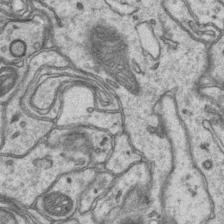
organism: Mouse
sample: CA1 Hippocampus